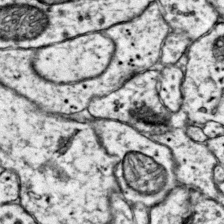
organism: Mouse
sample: Primary visual cortex